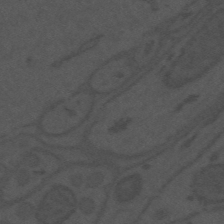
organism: Mouse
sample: Suprachiasmatic nucleus